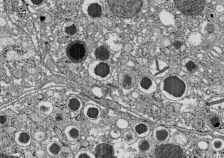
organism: C57BL Mouse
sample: Pancreatic islet